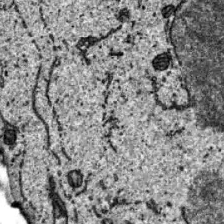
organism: Human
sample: HeLa cells